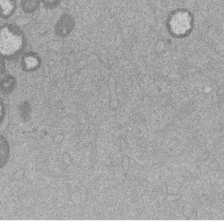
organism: Mouse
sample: Dividing mouse embryo 1 cell stage